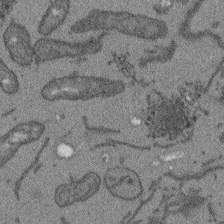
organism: Arabidopsis thaliana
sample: Root tip